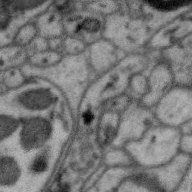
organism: Zebra finch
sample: Brain